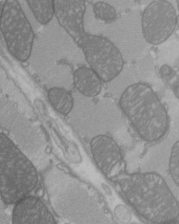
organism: C57BL Mouse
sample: Heart